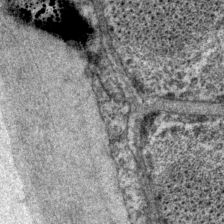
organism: P. pacificus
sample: Pharynx